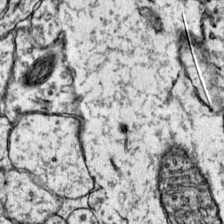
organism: Mouse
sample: Primary visual cortex